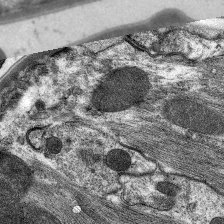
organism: C. elegans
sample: Pharynx